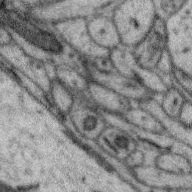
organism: Zebra finch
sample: Brain